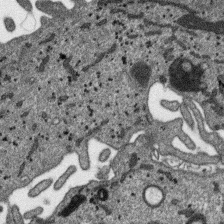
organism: Human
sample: Lung epithelial cells infected with SARS-CoV-2